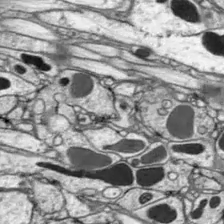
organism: Drosophila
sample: Optic lobe